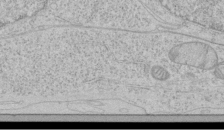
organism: Human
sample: Mitochondria in HCT116 cells